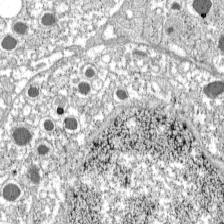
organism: C57BL Mouse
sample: Pancreatic islet